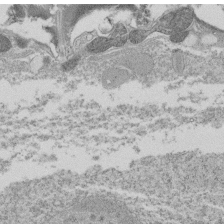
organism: Tetrahymena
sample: Cilia in tetrahymena